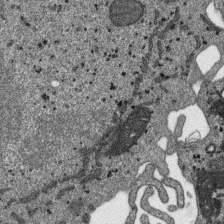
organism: Human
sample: Lung epithelial cells infected with SARS-CoV-2